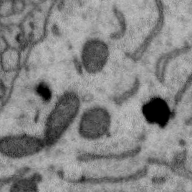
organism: Zebra finch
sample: Brain